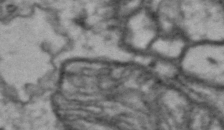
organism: Drosophila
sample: Brain